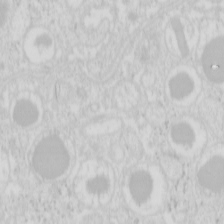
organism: Mouse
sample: Pancreas